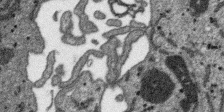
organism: Human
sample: Lung epithelial cells infected with SARS-CoV-2